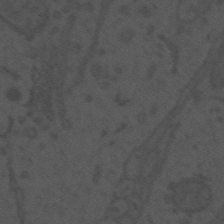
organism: Mouse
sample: Suprachiasmatic nucleus